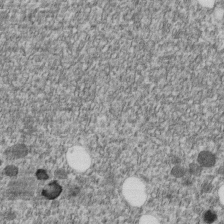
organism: C. elegans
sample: C. elegans embryo early stage